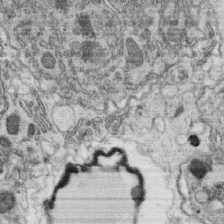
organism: C. elegans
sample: C. elegans oocyte; sperm cells